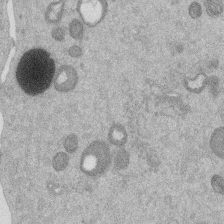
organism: Mouse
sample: Dividing mouse embryo 1 cell stage